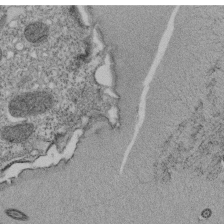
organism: Tetrahymena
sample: Cilia in tetrahymena